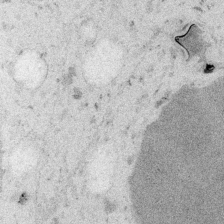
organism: Embia sp.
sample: Silk gland